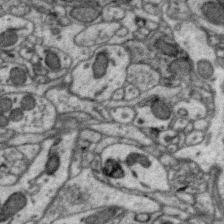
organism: Zebra finch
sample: Brain